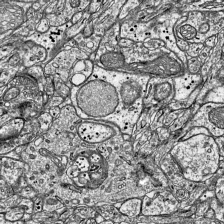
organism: Mouse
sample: Visual Cortex